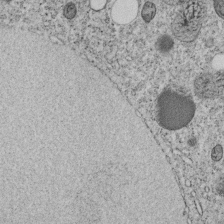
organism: C. elegans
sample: C. elegans embryo early stage